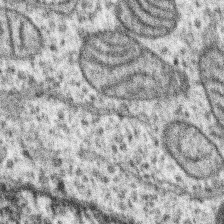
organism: Human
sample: HeLa cells